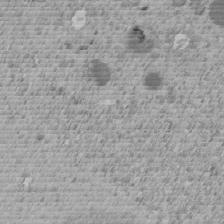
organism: C. elegans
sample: C. elegans embryo early stage